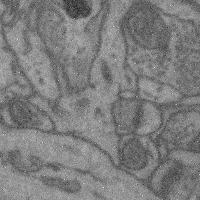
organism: Mouse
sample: Cerebral cortex